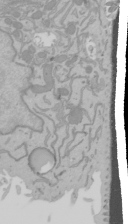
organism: Mouse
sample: Cancer cell death in ED-1 cells